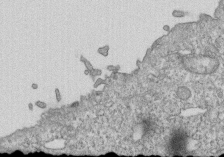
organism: Human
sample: HeLa cell HIV synapse